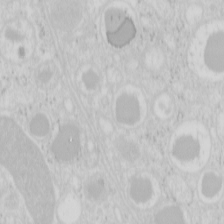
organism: Mouse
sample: Pancreas